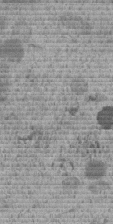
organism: C. elegans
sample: C. elegans embryo early stage